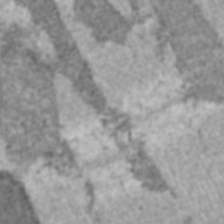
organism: C57BL Mouse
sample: Heart